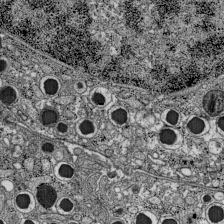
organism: C57BL Mouse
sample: Pancreatic islet